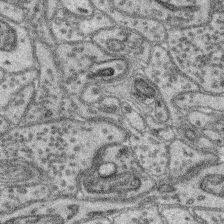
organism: Mouse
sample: Retina